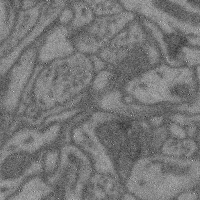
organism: Mouse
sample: Cerebral cortex